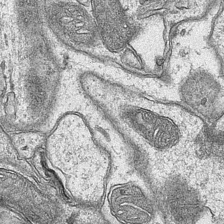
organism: Mouse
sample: CA1 Hippocampus